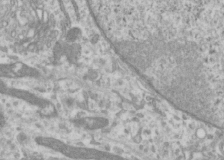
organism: Human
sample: Cilia; basal body in RPE cells